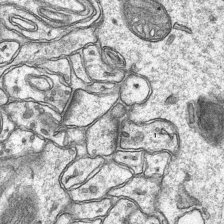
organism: Mouse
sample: CA1 Hippocampus